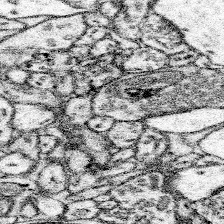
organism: Mouse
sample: Somatosensory cortex neuropil